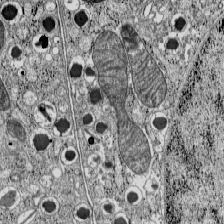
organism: C57BL Mouse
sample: Pancreatic islet